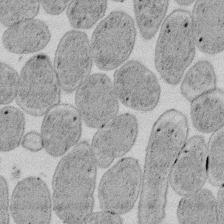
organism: E. coli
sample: Bacterial nucleoid